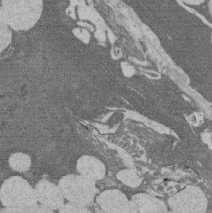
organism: Rat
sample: Salivary granule